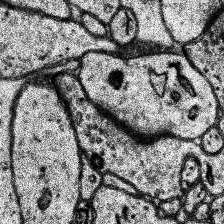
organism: Human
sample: Temporal Lobe